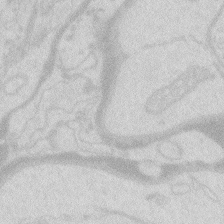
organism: Zebrafish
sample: Macrophage